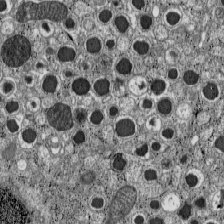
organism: C57BL Mouse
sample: Pancreatic islet